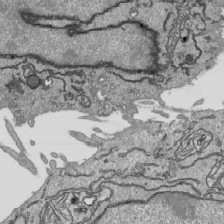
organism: Human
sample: Mitochondria in HCT116 cells